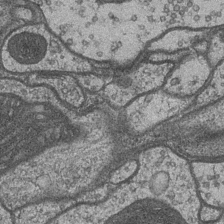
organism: Drosophila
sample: Optic medulla